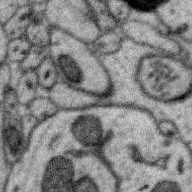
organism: Zebra finch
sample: Brain